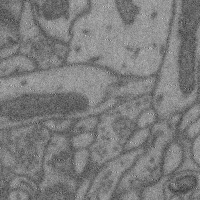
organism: Mouse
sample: Cerebral cortex